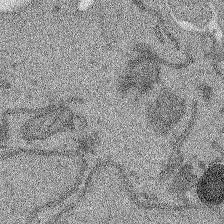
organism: Human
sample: HeLa cells